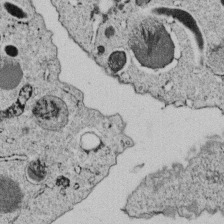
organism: C. elegans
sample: C. elegans embryo early stage